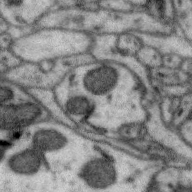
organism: Zebra finch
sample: Brain